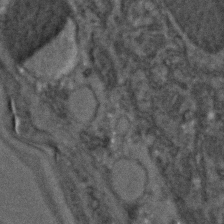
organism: C. elegans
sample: C. elegans embryo